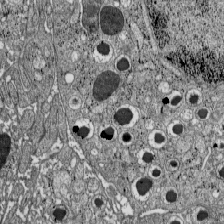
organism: C57BL Mouse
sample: Pancreatic islet